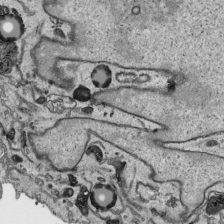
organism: Human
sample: Mitochondria in HCT116 cells